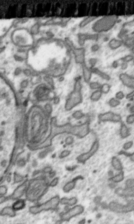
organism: Toxoplasma gondii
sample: Parasites in a vacuole inside a host cell